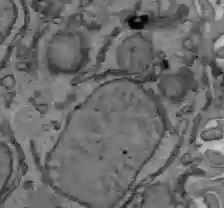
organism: C57BL Mouse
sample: Liver